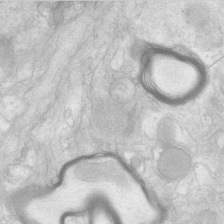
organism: Human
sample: Neocortex